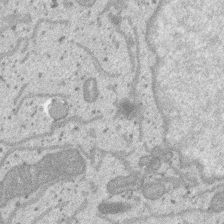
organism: Human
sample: Lung epithelial cells infected with SARS-CoV-2